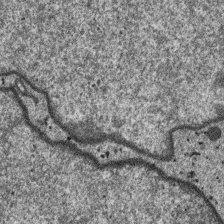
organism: Human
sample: Lung epithelial cells infected with SARS-CoV-2